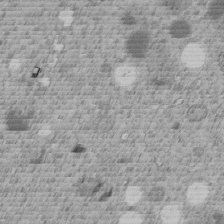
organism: C. elegans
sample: C. elegans embryo early stage